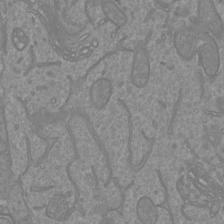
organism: Mouse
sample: Cortical neurons